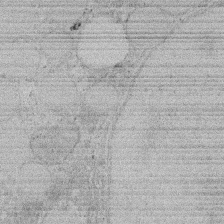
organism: Rat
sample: Salivary granule